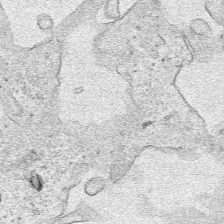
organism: Human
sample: Mitochondria in HCT116 cells